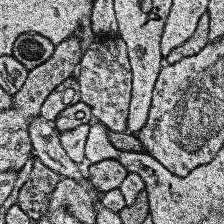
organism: Human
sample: Temporal Lobe